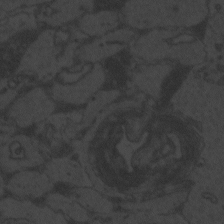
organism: Zebrafish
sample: Macrophage infected with Toxoplasma gondii